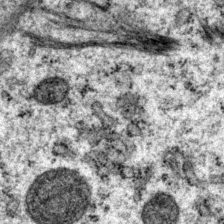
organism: P. pacificus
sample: Pharynx